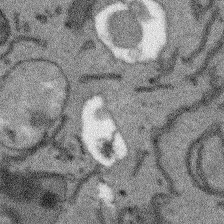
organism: Arabidopsis thaliana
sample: Root tip